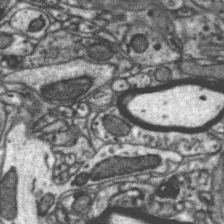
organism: Zebra finch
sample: Brain